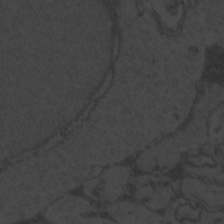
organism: Zebrafish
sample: Macrophage infected with Toxoplasma gondii